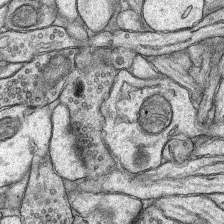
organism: Rat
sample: Hippocampus